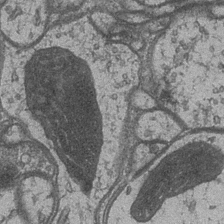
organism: Drosophila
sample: Optic medulla